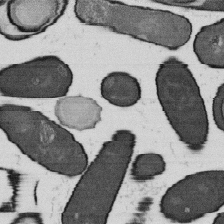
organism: B. subtilis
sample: Bacterial spore